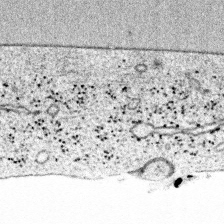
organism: Human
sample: HeLa cells